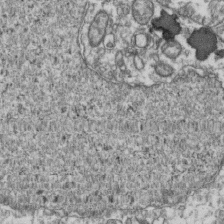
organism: Human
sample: Activated Jurkat CD4+ T cells